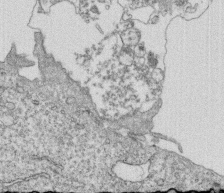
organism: Human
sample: HeLa cell HIV synapse